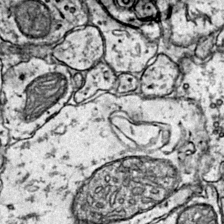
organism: Mouse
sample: Primary visual cortex